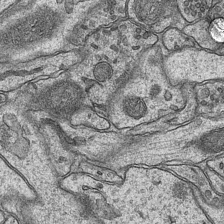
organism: Mouse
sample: CA1 Hippocampus